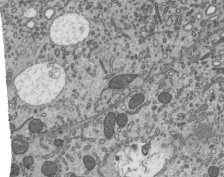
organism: Mouse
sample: Mouse epididymis efferent ductule cilia